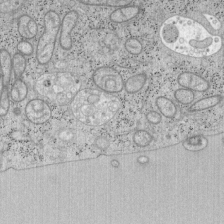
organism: Mouse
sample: OT-I killer T cells with ID8 ovarian cancer cells